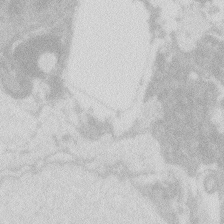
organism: Zebrafish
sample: Macrophage